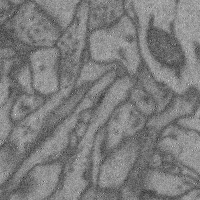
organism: Mouse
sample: Cerebral cortex